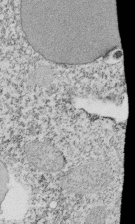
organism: Tetrahymena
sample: Cilia in tetrahymena